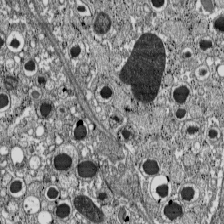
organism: C57BL Mouse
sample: Pancreatic islet